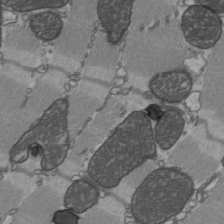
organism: C57BL Mouse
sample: Heart